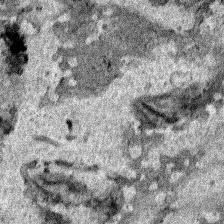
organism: Human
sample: Mitochondria in HCT116 cells